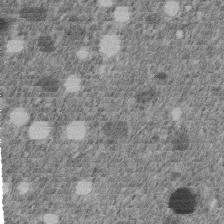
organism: C. elegans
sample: C. elegans embryo early stage